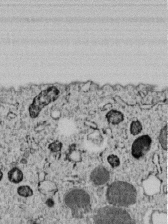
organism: C. elegans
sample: C. elegans embryo early stage